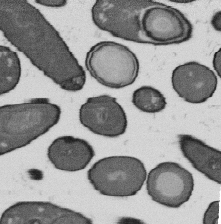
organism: B. subtilis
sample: Bacterial spore